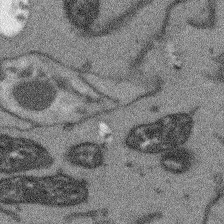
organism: Arabidopsis thaliana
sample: Root tip